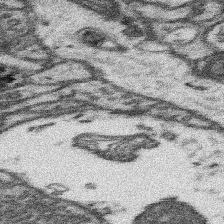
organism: Mouse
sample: Somatosensory cortex neuropil